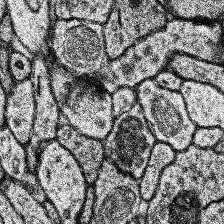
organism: Human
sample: Temporal Lobe